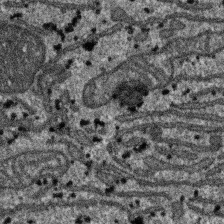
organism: Human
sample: Lung epithelial cells infected with SARS-CoV-2